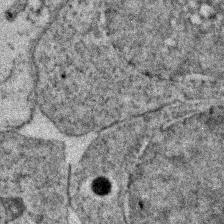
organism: Zebrafish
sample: Zebrafish embryo